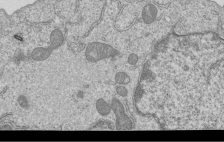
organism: Human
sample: MDA-MB-231 cells